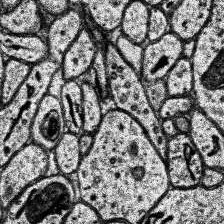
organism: Human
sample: Temporal Lobe